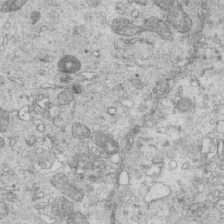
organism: Mouse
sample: Multiciliated cells